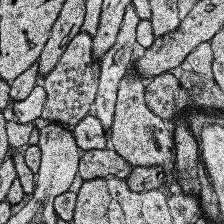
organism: Human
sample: Temporal Lobe